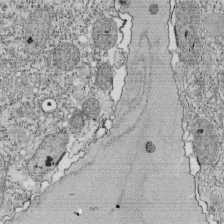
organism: Tetrahymena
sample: Cilia in tetrahymena